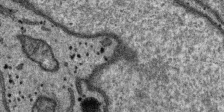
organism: Human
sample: Lung epithelial cells, uninfected (mock) control